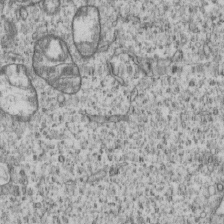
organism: Human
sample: MDA-MB-231 cells